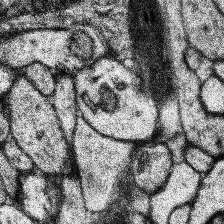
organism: Human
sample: Temporal Lobe